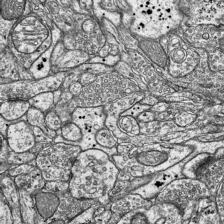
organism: Mouse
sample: Visual Cortex